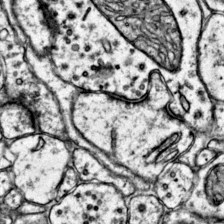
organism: Mouse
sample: Primary visual cortex